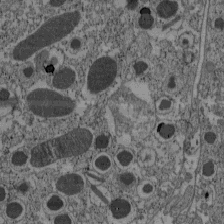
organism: C57BL Mouse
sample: Pancreatic islet